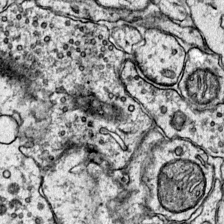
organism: Mouse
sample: Primary visual cortex